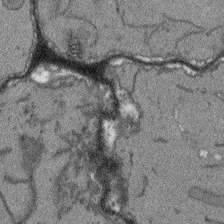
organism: Arabidopsis thaliana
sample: Root tip